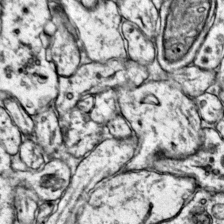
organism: Mouse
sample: Primary visual cortex